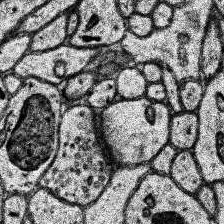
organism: Human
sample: Temporal Lobe